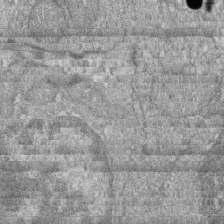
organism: Zebrafish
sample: Cilia; retinal pigment epithelium